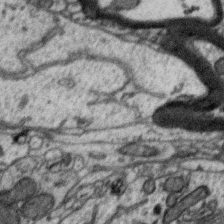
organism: Zebra finch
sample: Brain